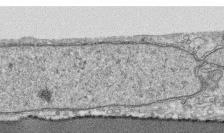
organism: Human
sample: CRL-1474